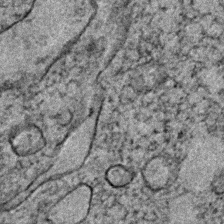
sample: Trachea